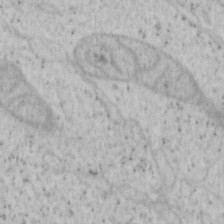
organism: Human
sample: HeLa cells